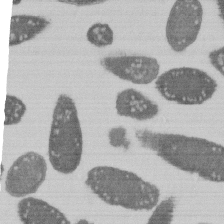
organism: E. coli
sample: Bacterial nucleoid